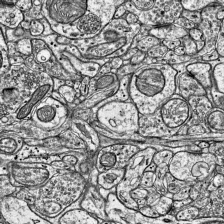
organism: Mouse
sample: Visual Cortex